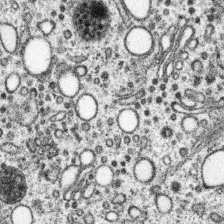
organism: Human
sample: HeLa cells